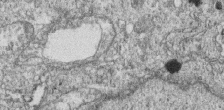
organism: Human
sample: HeLa cell HIV synapse